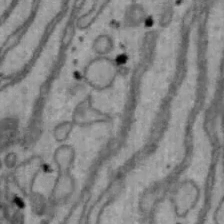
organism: Mouse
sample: Liver